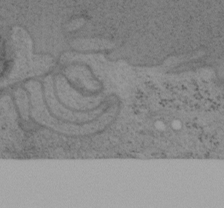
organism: Mouse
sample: OT-I killer T cells with ID8 ovarian cancer cells